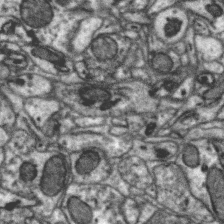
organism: Zebra finch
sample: Brain